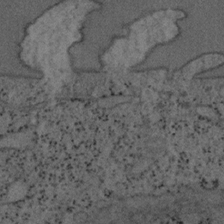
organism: Human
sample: HeLa cells